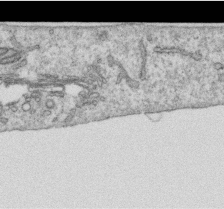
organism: Human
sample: Centriole in RPE cells